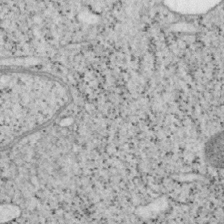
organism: Mouse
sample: OT-I killer T cells with ID8 ovarian cancer cells